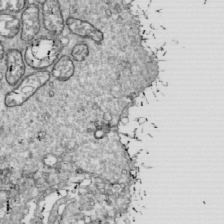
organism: Drosophila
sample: Cell division; meiosis; drosophila spermatocytes